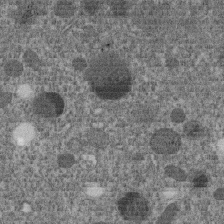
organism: C. elegans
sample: C. elegans embryo early stage